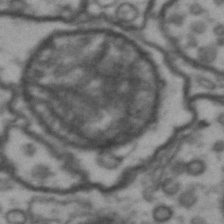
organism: Drosophila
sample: Brain